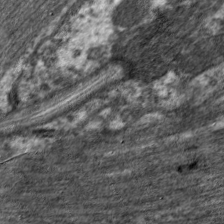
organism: C. elegans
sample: Pharynx